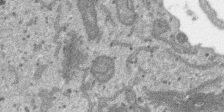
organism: Human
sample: Lung epithelial cells infected with SARS-CoV-2